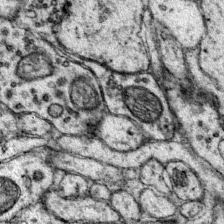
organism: Mouse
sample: Primary visual cortex